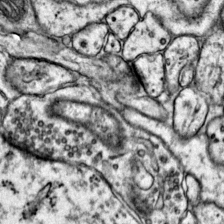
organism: Mouse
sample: Primary visual cortex